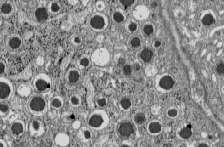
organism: C57BL Mouse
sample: Pancreatic islet